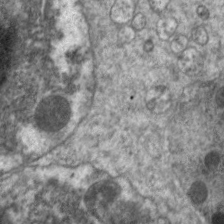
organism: C. elegans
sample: Pharynx